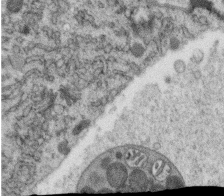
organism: C. elegans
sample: C. elegans oocyte; sperm cells